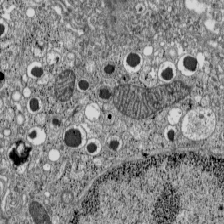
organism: C57BL Mouse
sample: Pancreatic islet